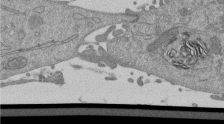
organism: Mouse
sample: ED-1 cell nuclei; centrioles